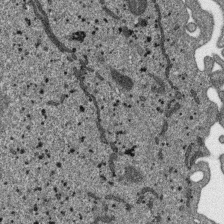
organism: Human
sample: Lung epithelial cells infected with SARS-CoV-2